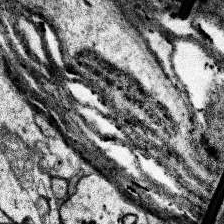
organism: Human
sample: Temporal Lobe